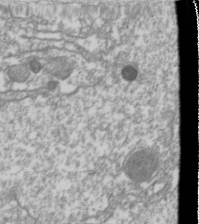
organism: Drosophila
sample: Cell division; meiosis; drosophila spermatocytes